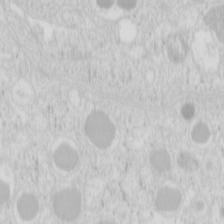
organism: Mouse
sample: Pancreas